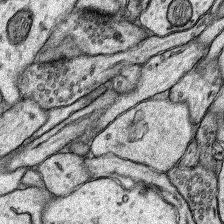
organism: Rat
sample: Hippocampus